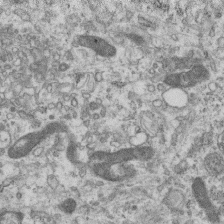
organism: Mouse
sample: Centriole in ependymal cells